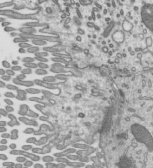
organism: Mouse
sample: Mouse epididymis efferent ductule cilia